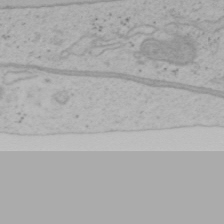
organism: Human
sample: HeLa cells